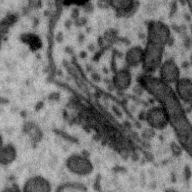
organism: Zebra finch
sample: Brain